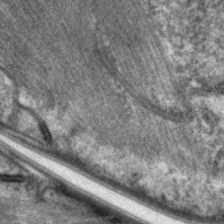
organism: C. elegans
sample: Pharynx